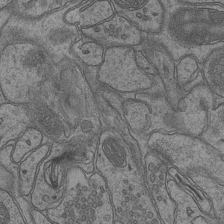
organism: Mouse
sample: CA1 Hippocampus